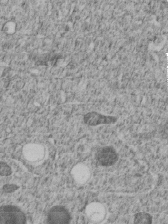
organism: C. elegans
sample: C. elegans embryo early stage